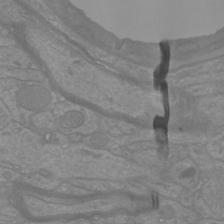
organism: Mouse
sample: Cortical neurons